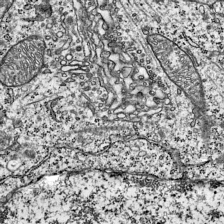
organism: Mouse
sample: Visual Cortex